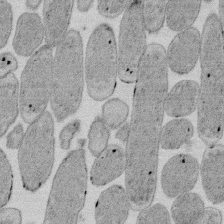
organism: E. coli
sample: Bacterial nucleoid